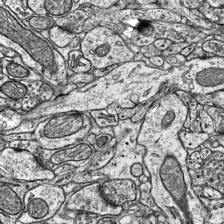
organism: Mouse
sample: Visual Cortex